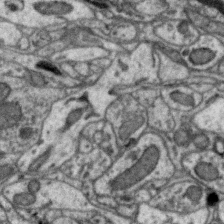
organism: Zebra finch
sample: Brain